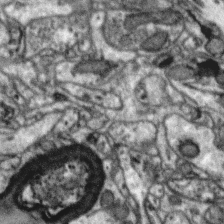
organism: Zebra finch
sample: Brain